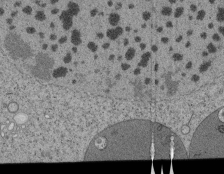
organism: Tetrahymena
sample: Cilia in tetrahymena